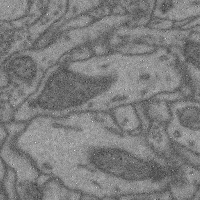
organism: Mouse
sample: Cerebral cortex